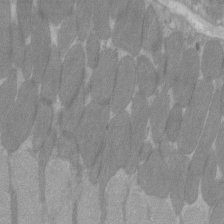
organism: C57BL Mouse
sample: Tibialis anterior muscle cell